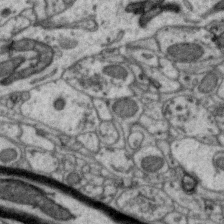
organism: Zebra finch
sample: Brain